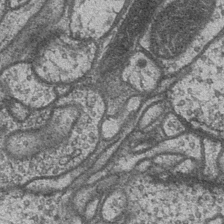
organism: Drosophila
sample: Optic medulla